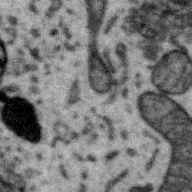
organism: Zebra finch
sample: Brain